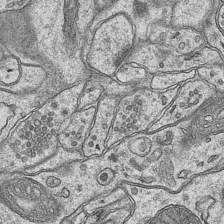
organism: Mouse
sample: CA1 Hippocampus